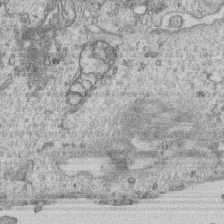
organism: Human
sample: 1205lu cells